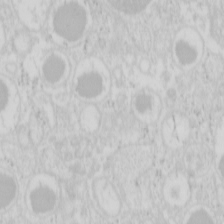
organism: Mouse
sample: Pancreas